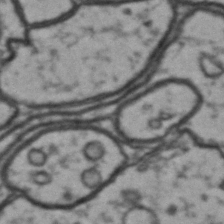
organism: Drosophila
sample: Brain